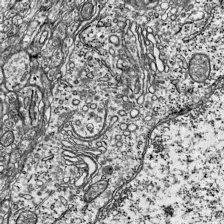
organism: Mouse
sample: Visual Cortex